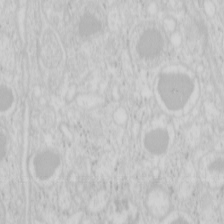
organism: Mouse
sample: Pancreas